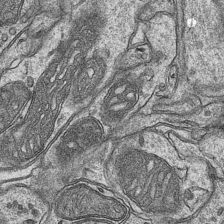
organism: Mouse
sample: CA1 Hippocampus